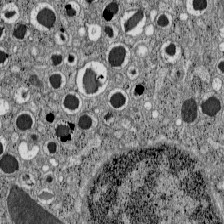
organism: C57BL Mouse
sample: Pancreatic islet